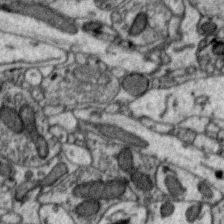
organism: Zebra finch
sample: Brain